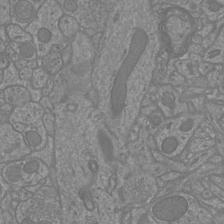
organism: Mouse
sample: Cortical neurons